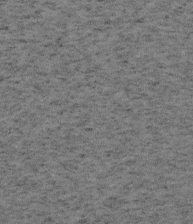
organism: Mouse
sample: OT-I killer T cells with ID8 ovarian cancer cells